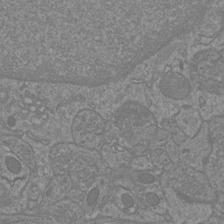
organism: Mouse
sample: Cortical neurons